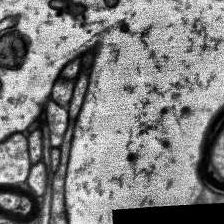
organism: Human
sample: Temporal Lobe